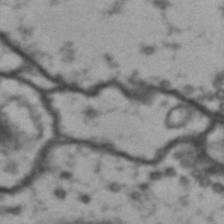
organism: Drosophila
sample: Brain